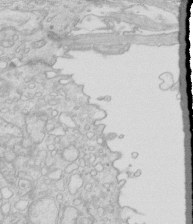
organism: Mouse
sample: Multiciliated cells